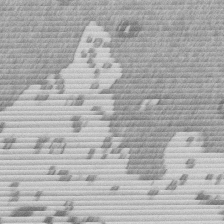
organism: Mouse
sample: Dividing mouse embryo 1 cell stage